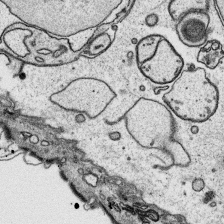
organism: Platynereis dumerilii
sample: Parapodia